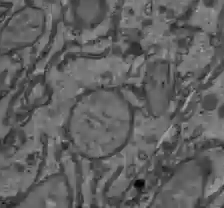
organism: C57BL Mouse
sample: Liver